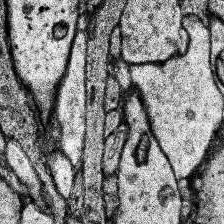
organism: Human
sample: Temporal Lobe